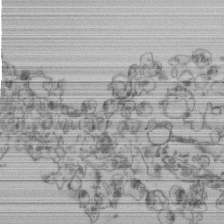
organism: Human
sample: Retinal organoid Rod and Cone cells